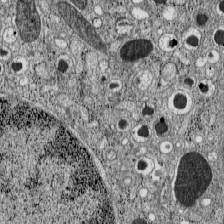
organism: C57BL Mouse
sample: Pancreatic islet